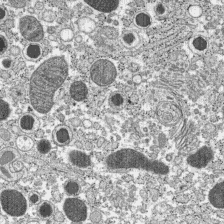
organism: C57BL Mouse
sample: Pancreatic islet